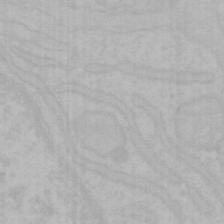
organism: Mouse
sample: Choroid plexus